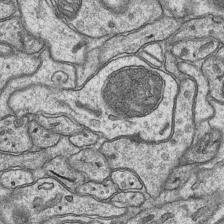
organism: Mouse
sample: CA1 Hippocampus